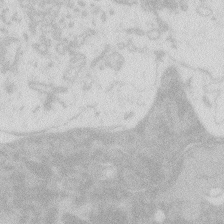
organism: Zebrafish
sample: Macrophage